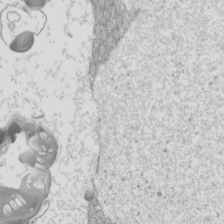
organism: Mouse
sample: Cilia; mouse epididymis